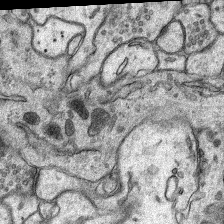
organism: Rat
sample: Hippocampus